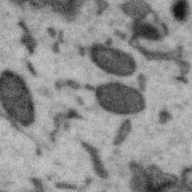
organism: Zebra finch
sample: Brain